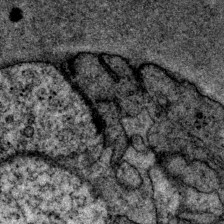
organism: P. pacificus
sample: Pharynx